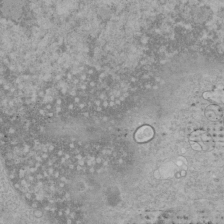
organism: Human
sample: Mitochondria in HCT116 cells